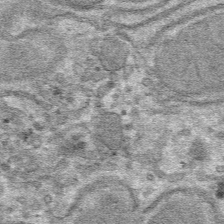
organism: Mouse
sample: Mouse hepatocytes